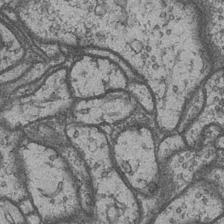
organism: Drosophila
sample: Optic medulla